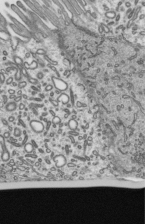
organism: Mouse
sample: Mouse epididymis efferent ductule cilia